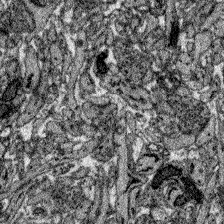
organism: Zebrafish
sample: Larval olfactory bulb